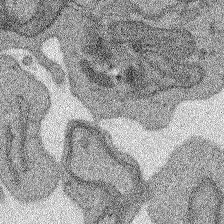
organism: Human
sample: HeLa cells